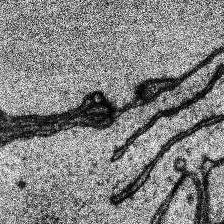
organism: Human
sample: Temporal Lobe